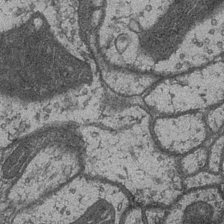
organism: Drosophila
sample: Optic medulla